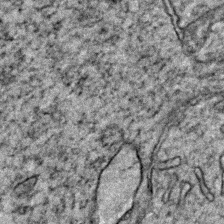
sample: Trachea